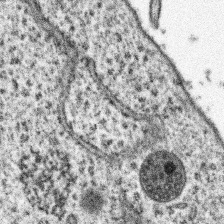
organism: Human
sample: HeLa cells